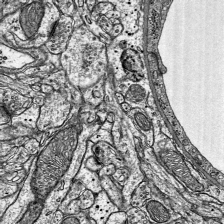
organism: Mouse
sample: Visual Cortex